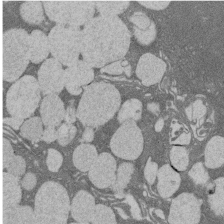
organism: Rat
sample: Salivary granule